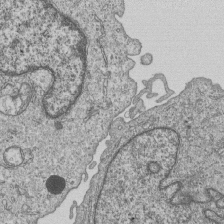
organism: Human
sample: MDA-MB-231 cells